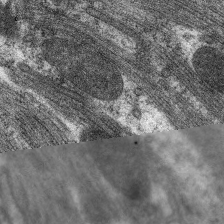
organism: C. elegans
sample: Pharynx